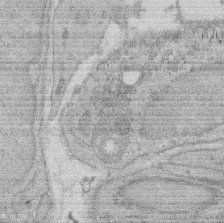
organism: Rat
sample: Salivary granule